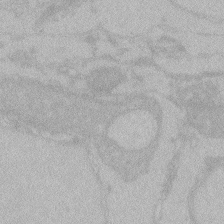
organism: Zebrafish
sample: Macrophage infected with Toxoplasma gondii